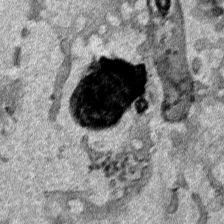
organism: Human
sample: Mitochondria in HCT116 cells